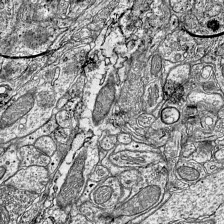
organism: Mouse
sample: Visual Cortex